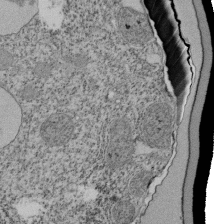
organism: Tetrahymena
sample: Cilia in tetrahymena